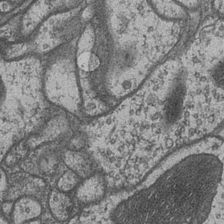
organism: Drosophila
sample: Optic medulla